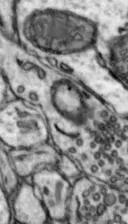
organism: Mouse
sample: Nucleus accumbens